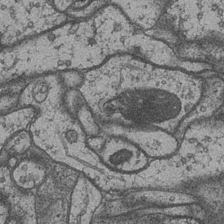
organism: Drosophila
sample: Optic medulla